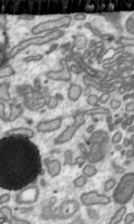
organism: Toxoplasma gondii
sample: Parasites in a vacuole inside a host cell